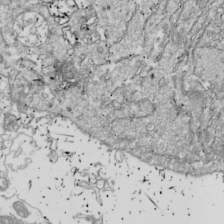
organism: Drosophila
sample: Cell division; meiosis; drosophila spermatocytes